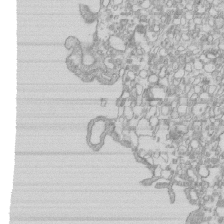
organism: Mouse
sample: Macrophages